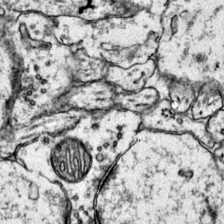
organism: Mouse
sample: Primary visual cortex